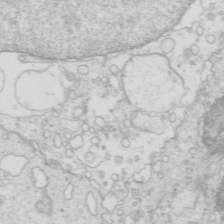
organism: Mouse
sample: Multiciliated cells